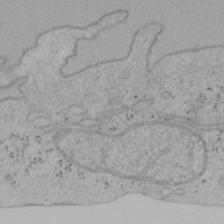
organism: Human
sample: HeLa cells